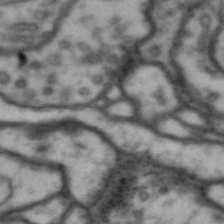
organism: Drosophila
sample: Brain